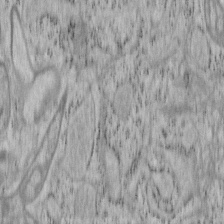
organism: Human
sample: HeLa cells